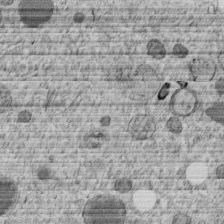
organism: C. elegans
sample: C. elegans embryo early stage